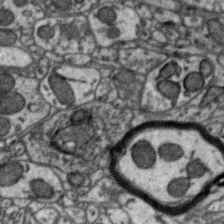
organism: Zebra finch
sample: Brain